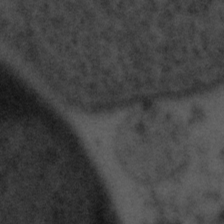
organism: Tuwongella immobilis